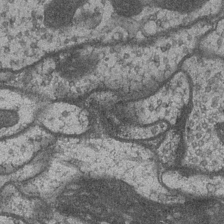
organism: Drosophila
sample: Optic medulla